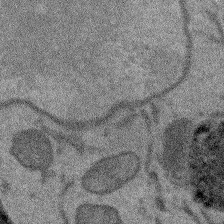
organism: Arabidopsis thaliana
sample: Root tip